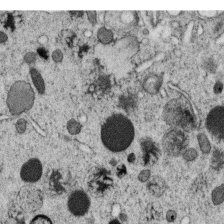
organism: C. elegans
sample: C. elegans oocyte; sperm cells